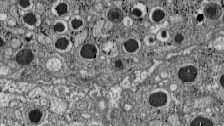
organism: C57BL Mouse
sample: Pancreatic islet